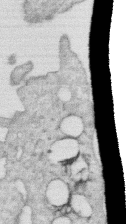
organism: Human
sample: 1205lu cells